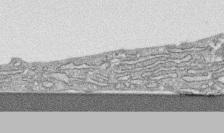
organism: Human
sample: CRL-1474